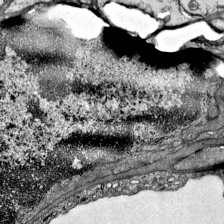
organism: Mouse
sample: Visual Cortex